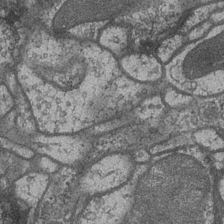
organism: Drosophila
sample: Optic medulla